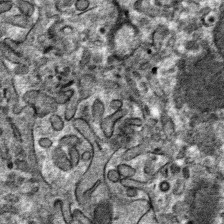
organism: Mouse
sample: Mouse hepatocytes